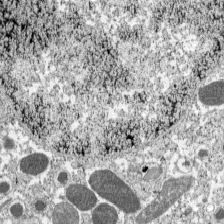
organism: C57BL Mouse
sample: Pancreatic islet